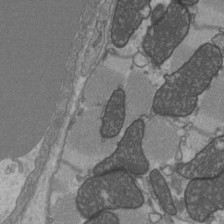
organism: C57BL Mouse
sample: Heart